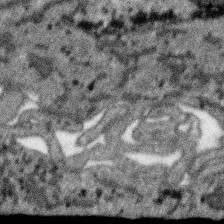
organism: Human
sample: Lung epithelial cells infected with SARS-CoV-2